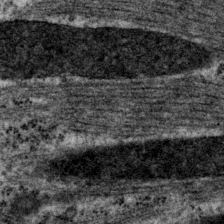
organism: P. pacificus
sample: Pharynx